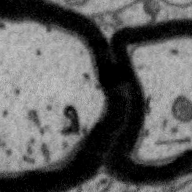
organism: Zebra finch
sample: Brain